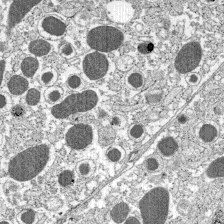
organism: C57BL Mouse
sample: Pancreatic islet